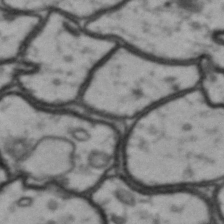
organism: Drosophila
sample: Brain